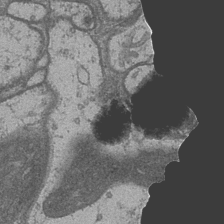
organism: Drosophila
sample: Optic medulla